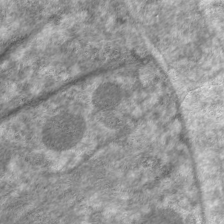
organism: C. elegans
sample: Pharynx